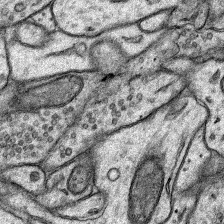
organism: Rat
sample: Hippocampus